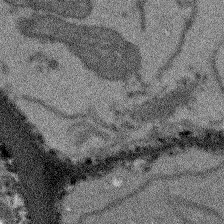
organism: Arabidopsis thaliana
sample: Root tip